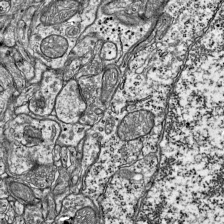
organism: Mouse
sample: Visual Cortex